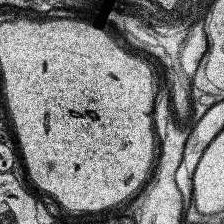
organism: Human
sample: Temporal Lobe